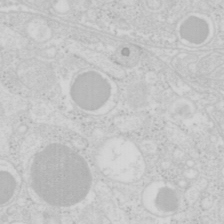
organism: Mouse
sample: Pancreas